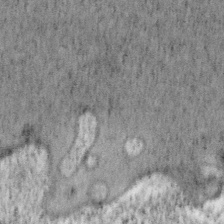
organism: Mouse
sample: OT-I killer T cells with ID8 ovarian cancer cells